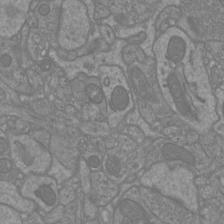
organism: Mouse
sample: Cortical neurons